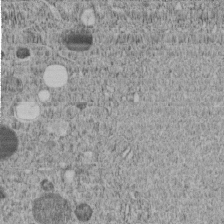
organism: C. elegans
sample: C. elegans embryo early stage